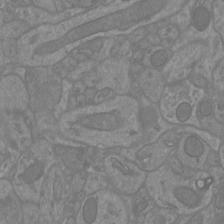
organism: Mouse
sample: Cortical neurons